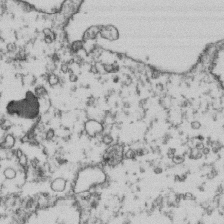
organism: Human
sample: Activated Jurkat CD4+ T cells